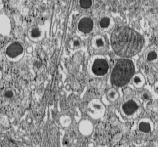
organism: C57BL Mouse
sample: Pancreatic islet